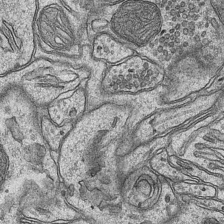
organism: Mouse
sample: CA1 Hippocampus